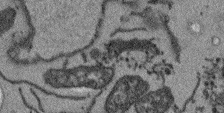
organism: Arabidopsis thaliana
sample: Root tip